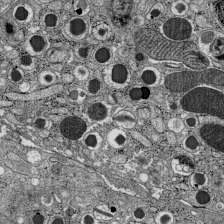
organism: C57BL Mouse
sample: Pancreatic islet